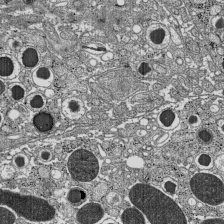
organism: C57BL Mouse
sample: Pancreatic islet